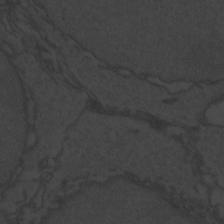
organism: Zebrafish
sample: Macrophage infected with Toxoplasma gondii